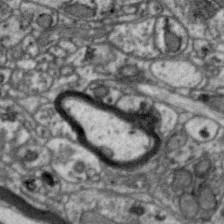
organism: Zebra finch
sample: Brain